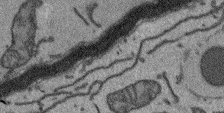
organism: Arabidopsis thaliana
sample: Root tip